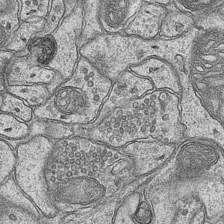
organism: Mouse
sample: CA1 Hippocampus